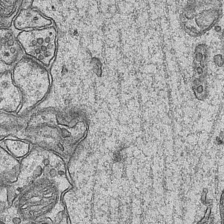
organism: Mouse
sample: CA1 Hippocampus